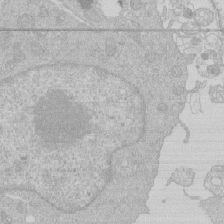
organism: Human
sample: Macrophage cells